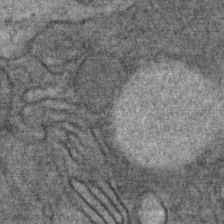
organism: Mouse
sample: Mouse Salivary gland